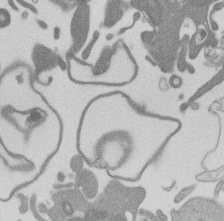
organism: Mouse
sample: Dividing mouse embryo 1 cell stage